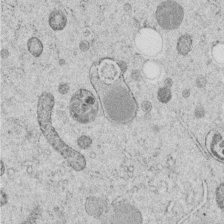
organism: C. elegans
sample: C. elegans embryo early stage